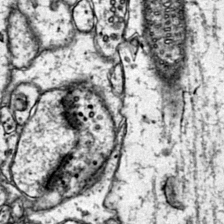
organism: Mouse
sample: Primary visual cortex